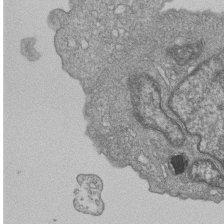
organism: Human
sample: MDA-MB-231 cells